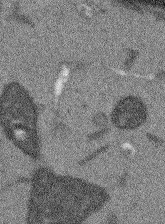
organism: Arabidopsis thaliana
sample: Root tip